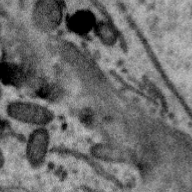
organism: Zebra finch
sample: Brain